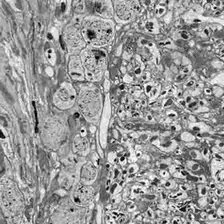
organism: Drosophila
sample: Optic lobe